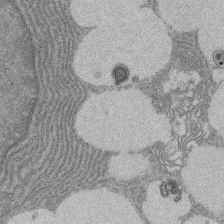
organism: Rat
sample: Salivary granule